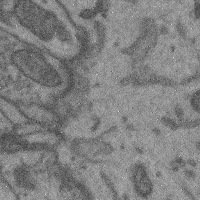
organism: Mouse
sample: Cerebral cortex